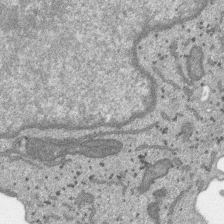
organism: Human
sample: Lung epithelial cells infected with SARS-CoV-2